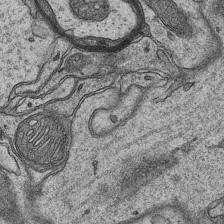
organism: Mouse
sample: CA1 Hippocampus